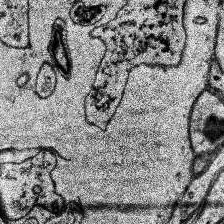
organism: Human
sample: Temporal Lobe